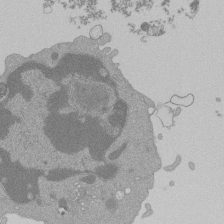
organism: Mouse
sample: Activated Pmel transgenic CD8+ T Cells